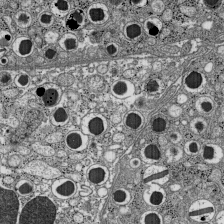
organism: C57BL Mouse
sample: Pancreatic islet